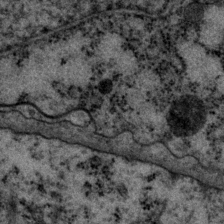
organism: P. pacificus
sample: Pharynx